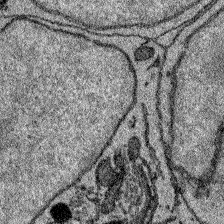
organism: Zebrafish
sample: Larval olfactory bulb